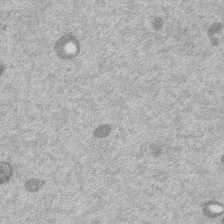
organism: Mouse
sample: Dividing mouse embryo 1 cell stage